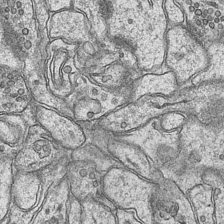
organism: Mouse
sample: CA1 Hippocampus